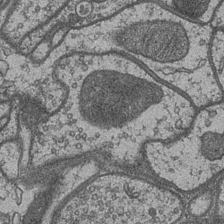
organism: Drosophila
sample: Optic medulla